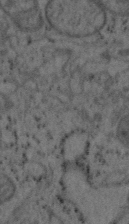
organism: Human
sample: HeLa cells